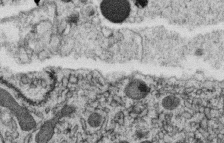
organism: C. elegans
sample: C. elegans oocyte; sperm cells